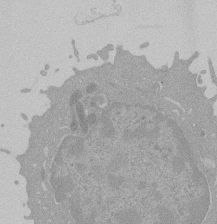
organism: Mouse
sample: Activated Pmel transgenic CD8+ T Cells